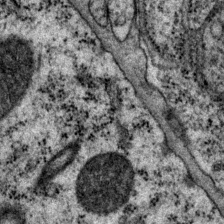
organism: P. pacificus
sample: Pharynx